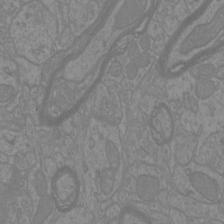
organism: Mouse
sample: Cortical neurons